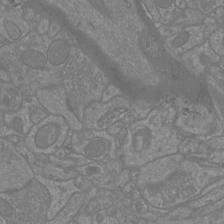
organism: Mouse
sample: Cortical neurons